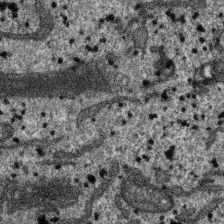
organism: Human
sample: Lung epithelial cells infected with SARS-CoV-2